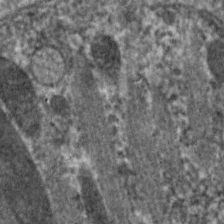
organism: C. elegans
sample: Pharynx